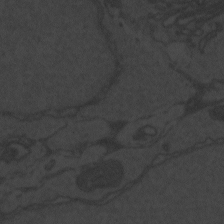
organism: Zebrafish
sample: Macrophage infected with Toxoplasma gondii